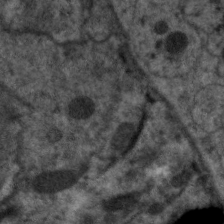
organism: C. elegans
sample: Pharynx